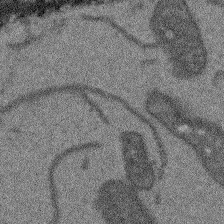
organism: Arabidopsis thaliana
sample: Root tip